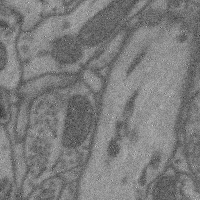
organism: Mouse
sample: Cerebral cortex